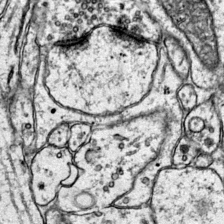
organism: Mouse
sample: Primary visual cortex